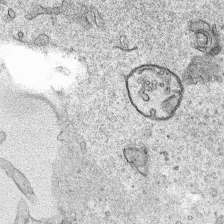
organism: Human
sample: Mitochondria in HCT116 cells